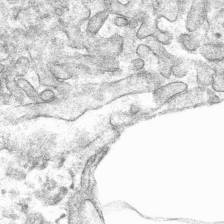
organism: Mouse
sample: Mouse hepatocytes